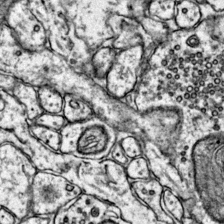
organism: Mouse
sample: Primary visual cortex